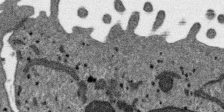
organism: Human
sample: Lung epithelial cells, uninfected (mock) control